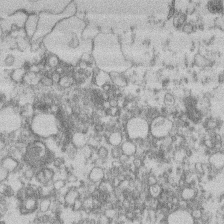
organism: Mouse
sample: T cell stromal cell synapse